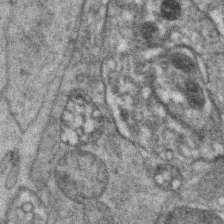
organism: Zebrafish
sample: Zebrafish embryo